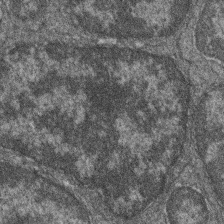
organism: Zebrafish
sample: Cilia; retinal pigment epithelium